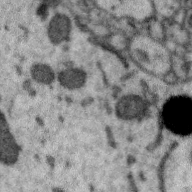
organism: Zebra finch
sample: Brain